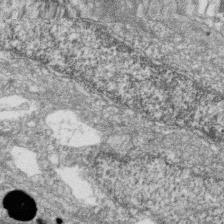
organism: Zebrafish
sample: Cilia; retinal pigment epithelium